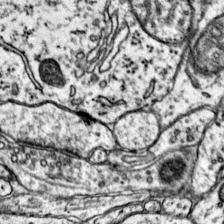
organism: Mouse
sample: Primary visual cortex